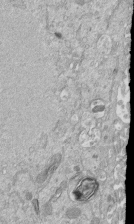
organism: Mouse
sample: ED-1 cell nuclei; centrioles